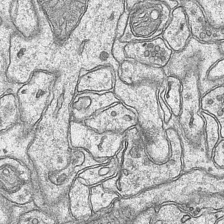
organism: Mouse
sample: CA1 Hippocampus